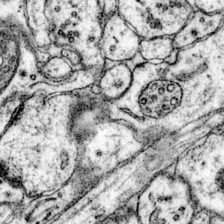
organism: Mouse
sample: Primary visual cortex